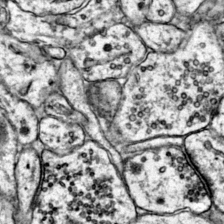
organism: Mouse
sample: Primary visual cortex